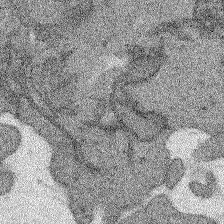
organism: Human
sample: HeLa cells